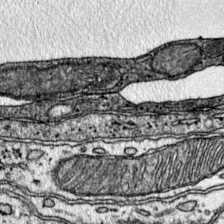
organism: Mouse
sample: Primary visual cortex